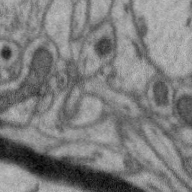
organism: Zebra finch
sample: Brain